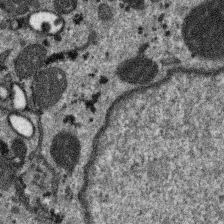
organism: Human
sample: Lung epithelial cells infected with SARS-CoV-2